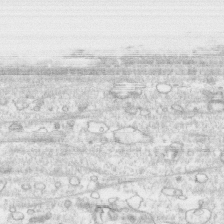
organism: Human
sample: CRL-1474